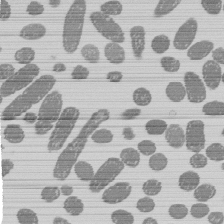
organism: E. coli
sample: Bacterial nucleoid